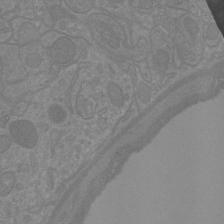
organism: Mouse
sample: Cortical neurons